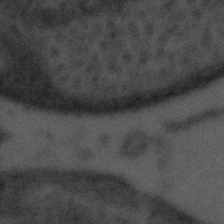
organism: Tuwongella immobilis